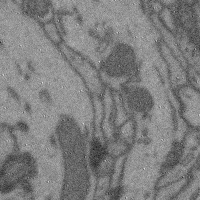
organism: Mouse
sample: Cerebral cortex